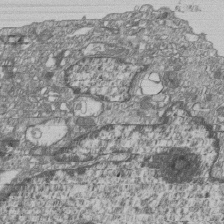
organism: Human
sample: MDA-MB-231 cells